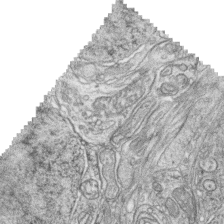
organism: Zebrafish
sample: synaptic ribbons in rod cells and cone cells